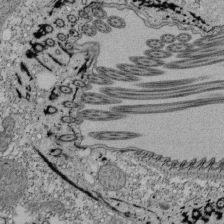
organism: Tetrahymena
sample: Cilia in tetrahymena